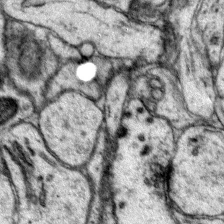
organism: Mouse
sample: Primary visual cortex